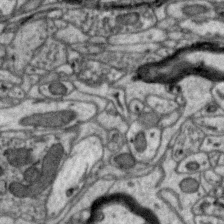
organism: Zebra finch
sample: Brain